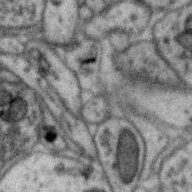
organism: Zebra finch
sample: Brain